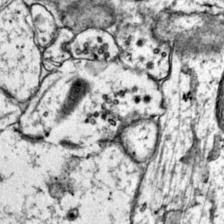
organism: Mouse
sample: Primary visual cortex